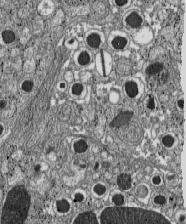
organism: C57BL Mouse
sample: Pancreatic islet